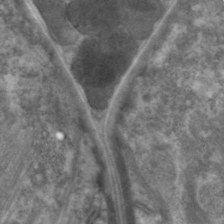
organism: C. elegans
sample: Pharynx